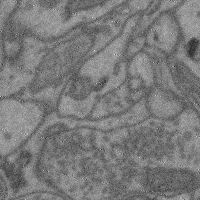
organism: Mouse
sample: Cerebral cortex